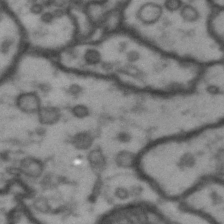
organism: Drosophila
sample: Brain